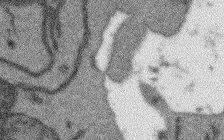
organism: Arabidopsis thaliana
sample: Root tip